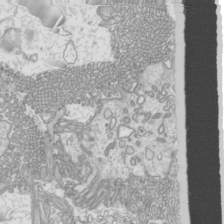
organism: Mouse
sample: Cilia; mouse epididymis